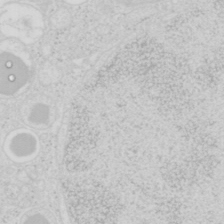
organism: Mouse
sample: Pancreas